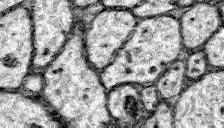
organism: Zebrafish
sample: Brain